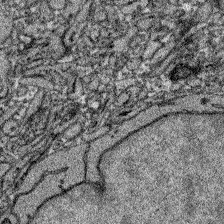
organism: Zebrafish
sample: Larval olfactory bulb